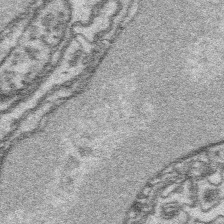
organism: Platynereis dumerilii